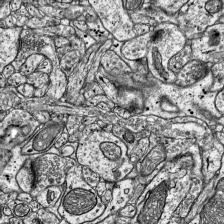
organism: Mouse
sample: Visual Cortex